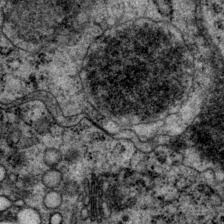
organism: P. pacificus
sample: Pharynx